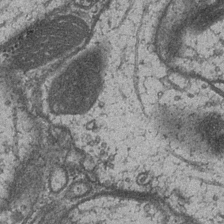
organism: Drosophila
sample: Optic medulla